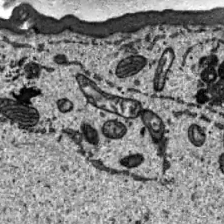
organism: Human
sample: HeLa cells